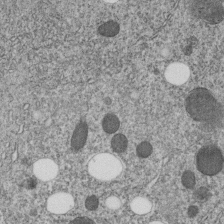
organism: C. elegans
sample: C. elegans embryo early stage